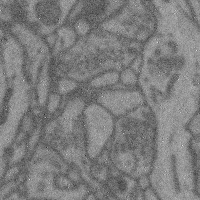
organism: Mouse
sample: Cerebral cortex